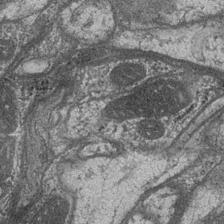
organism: Drosophila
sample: Optic medulla